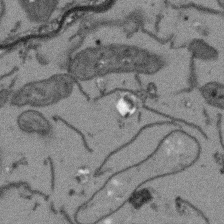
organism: Arabidopsis thaliana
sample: Root tip